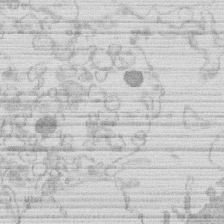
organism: Human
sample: Macrophage cells